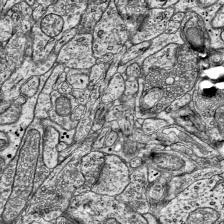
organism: Mouse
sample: Visual Cortex